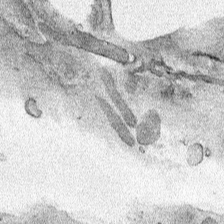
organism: Human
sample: Mitochondria in HCT116 cells